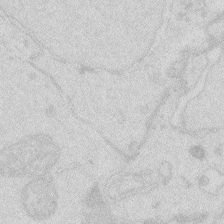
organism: Zebrafish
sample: Macrophage